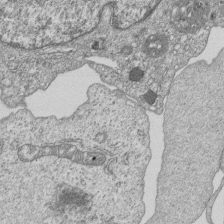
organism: Human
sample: MDA-MB-231 cells